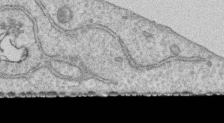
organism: Human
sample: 1205lu cells